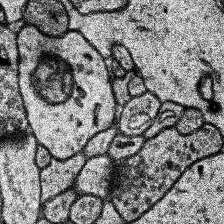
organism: Human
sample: Temporal Lobe